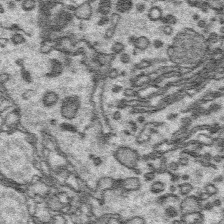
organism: Platynereis dumerilii